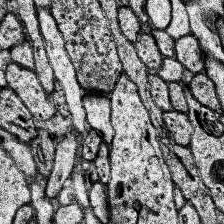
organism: Human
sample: Temporal Lobe